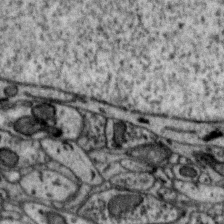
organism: Zebra finch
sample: Brain